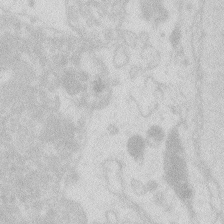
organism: Zebrafish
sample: Macrophage